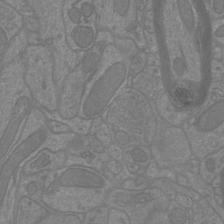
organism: Mouse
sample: Cortical neurons